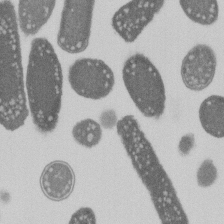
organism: E. coli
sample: Bacterial nucleoid